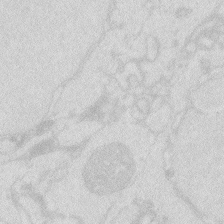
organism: Zebrafish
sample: Macrophage